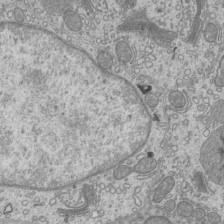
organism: Mouse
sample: Cilia; mouse epididymis